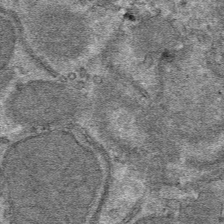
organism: Mouse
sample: Mouse hepatocytes